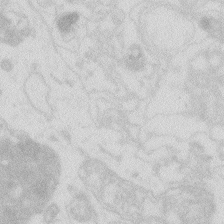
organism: Zebrafish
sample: Macrophage